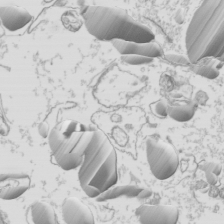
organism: Mouse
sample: Cilia; mouse epididymis